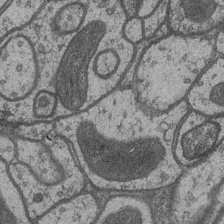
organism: Drosophila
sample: Optic medulla